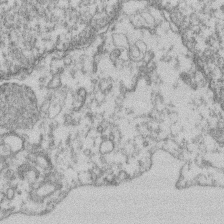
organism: Mouse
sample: T cell stromal cell synapse